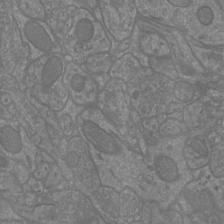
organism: Mouse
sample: Cortical neurons